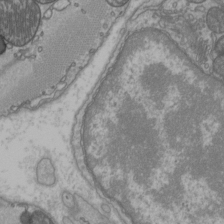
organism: C57BL Mouse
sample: Heart